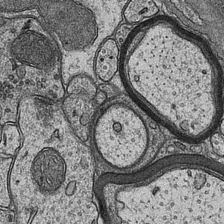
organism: Mouse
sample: CA1 Hippocampus